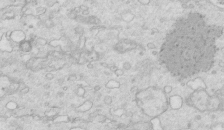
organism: Mouse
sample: Multiciliated cells